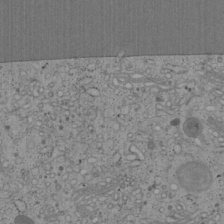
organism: African green monkey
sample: COS-7 cells